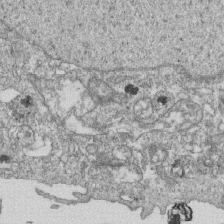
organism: Human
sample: HeLa cell HIV synapse